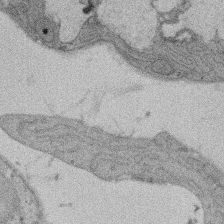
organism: Rat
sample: Salivary granule